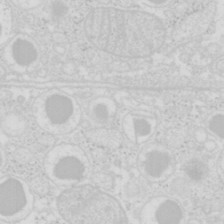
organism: Mouse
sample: Pancreas